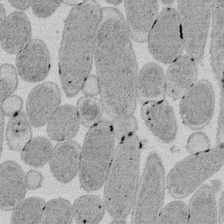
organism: E. coli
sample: Bacterial nucleoid